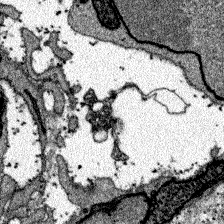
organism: Zebrafish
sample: Larval olfactory bulb